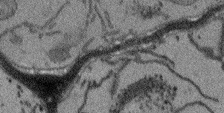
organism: Arabidopsis thaliana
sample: Root tip